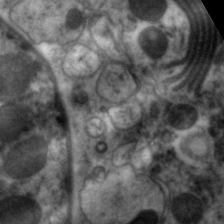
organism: C. elegans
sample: Pharynx